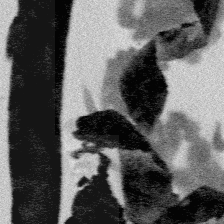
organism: Platynereis dumerilii